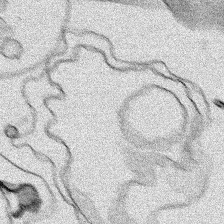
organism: Human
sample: Mitochondria in HCT116 cells